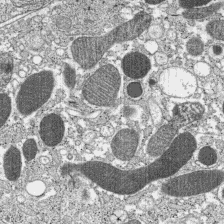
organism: C57BL Mouse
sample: Pancreatic islet